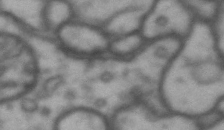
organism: Drosophila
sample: Brain